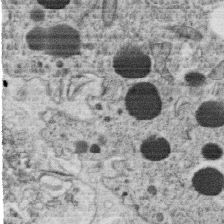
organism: C. elegans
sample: C. elegans oocyte; sperm cells